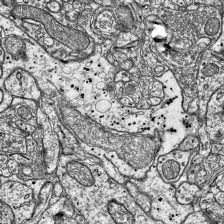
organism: Mouse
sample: Visual Cortex